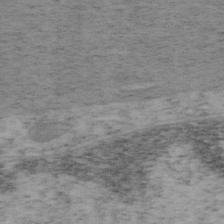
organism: Mouse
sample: OT-I killer T cells with ID8 ovarian cancer cells